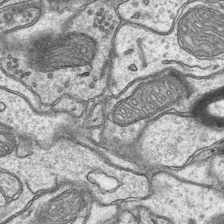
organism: Mouse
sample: CA1 Hippocampus